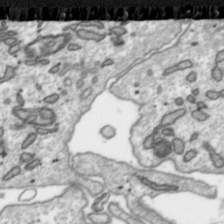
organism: Toxoplasma gondii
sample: Parasites in a vacuole inside a host cell